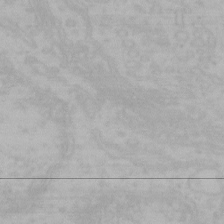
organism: Mouse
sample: Choroid plexus